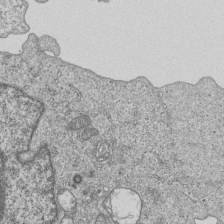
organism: Human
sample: MDA-MB-231 cells